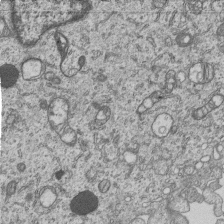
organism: Human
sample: MDA-MB-231 cells